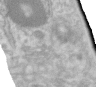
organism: Human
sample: Centriole in RPE cells